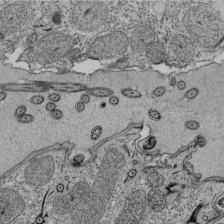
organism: Tetrahymena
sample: Cilia in tetrahymena